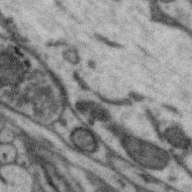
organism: Zebra finch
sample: Brain